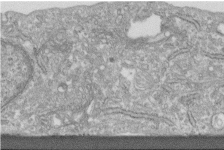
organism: Human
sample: Centriole in fibroblast cells